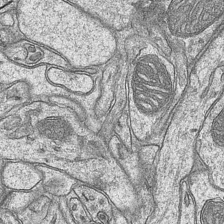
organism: Mouse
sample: CA1 Hippocampus